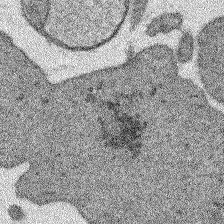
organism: Human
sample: HeLa cells